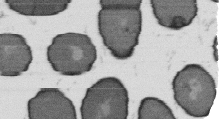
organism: B. subtilis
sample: Bacterial spore